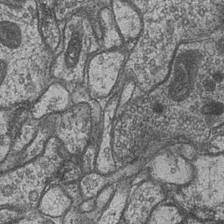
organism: Drosophila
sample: Optic medulla